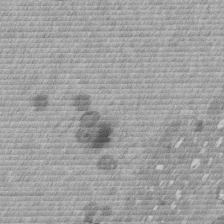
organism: Mouse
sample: Dividing mouse embryo 1 cell stage